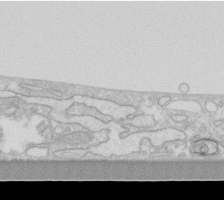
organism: Human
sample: Fibroblast cells